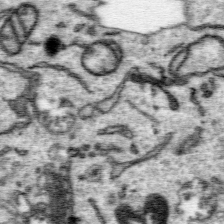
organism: Human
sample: HeLa cells